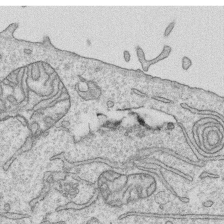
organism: Human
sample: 1205lu cells